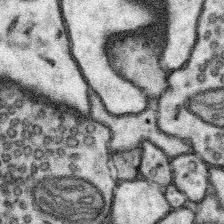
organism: Mouse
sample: Somatosensory cortex neuropil